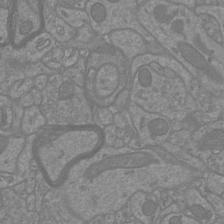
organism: Mouse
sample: Cortical neurons